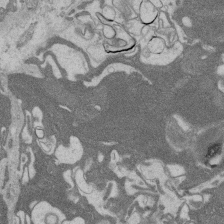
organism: Rat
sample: Salivary granule